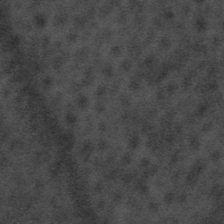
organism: Tuwongella immobilis